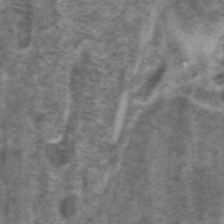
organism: Zebrafish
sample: Zebrafish embryo